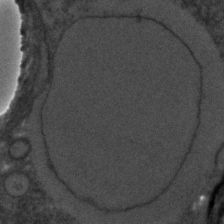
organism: C. elegans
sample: C. elegans embryo